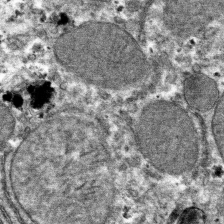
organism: Mouse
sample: Mouse hepatocytes